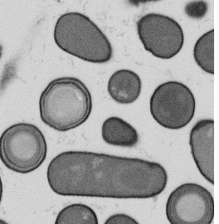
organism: B. subtilis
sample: Bacterial spore